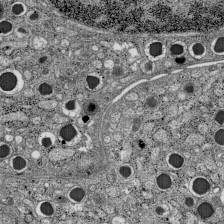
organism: C57BL Mouse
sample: Pancreatic islet